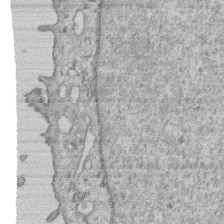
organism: Human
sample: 1205lu cells